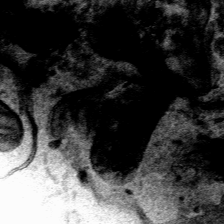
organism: Human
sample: Mitochondria in HCT116 cells